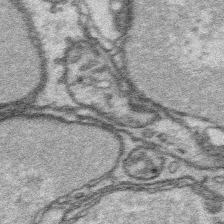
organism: Platynereis dumerilii